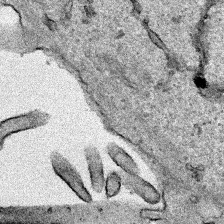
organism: Human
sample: Mitochondria in HCT116 cells